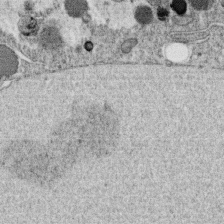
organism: C. elegans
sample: C. elegans oocyte; sperm cells